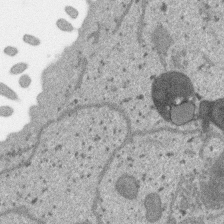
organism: Human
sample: Lung epithelial cells infected with SARS-CoV-2